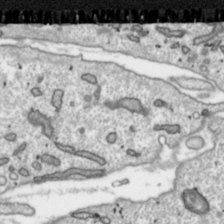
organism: Toxoplasma gondii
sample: Parasites in a vacuole inside a host cell